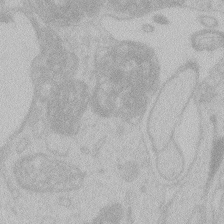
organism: Zebrafish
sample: Macrophage infected with Toxoplasma gondii